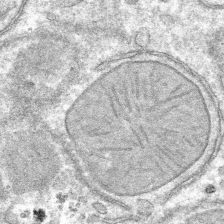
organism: Mouse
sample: Mouse hepatocytes